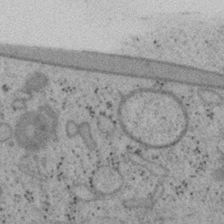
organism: Human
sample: HeLa cells